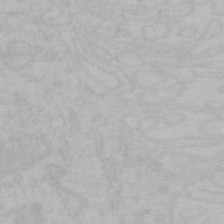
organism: Mouse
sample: Choroid plexus